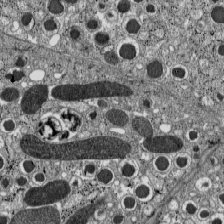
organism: C57BL Mouse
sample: Pancreatic islet